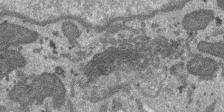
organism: Human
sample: Lung epithelial cells infected with SARS-CoV-2